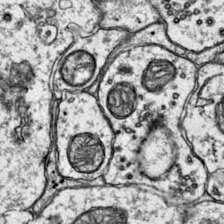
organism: Mouse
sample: Primary visual cortex